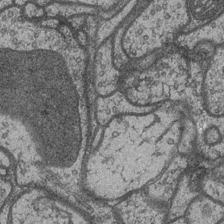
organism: Drosophila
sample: Optic medulla